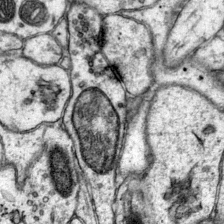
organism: Mouse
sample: Primary visual cortex